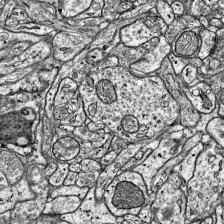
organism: Mouse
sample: Visual Cortex